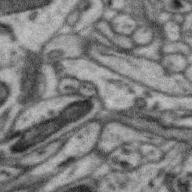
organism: Zebra finch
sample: Brain